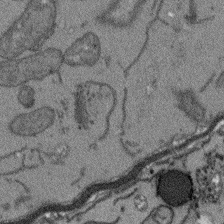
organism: Arabidopsis thaliana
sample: Root tip